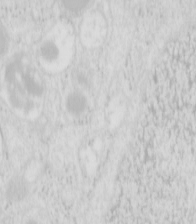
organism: Mouse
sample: Pancreas